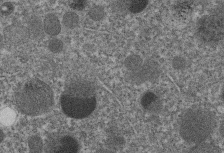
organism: C. elegans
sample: C. elegans embryo early stage